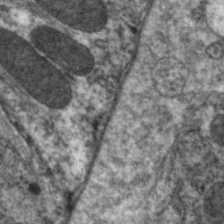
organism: C. elegans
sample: Pharynx